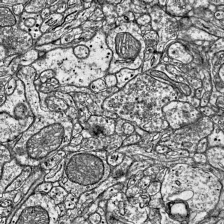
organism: Mouse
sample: Visual Cortex